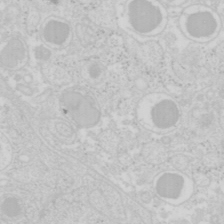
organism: Mouse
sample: Pancreas